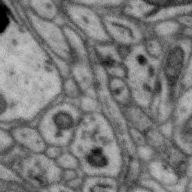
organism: Zebra finch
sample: Brain